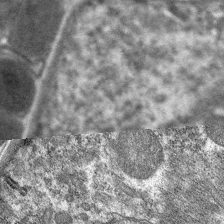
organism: C. elegans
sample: Pharynx